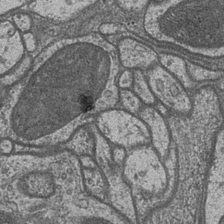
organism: Drosophila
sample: Optic medulla